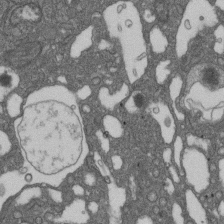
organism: Drosophila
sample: Nephrocyte